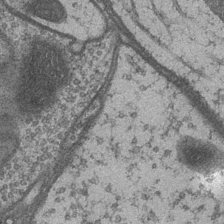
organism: Drosophila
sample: Optic medulla